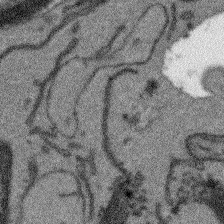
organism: Arabidopsis thaliana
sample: Root tip